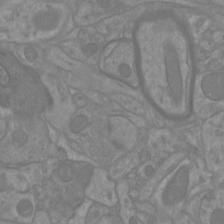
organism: Mouse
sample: Cortical neurons